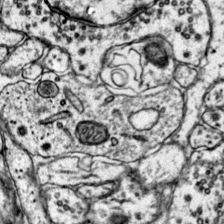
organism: Mouse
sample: Primary visual cortex